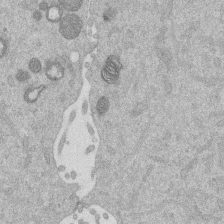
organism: Mouse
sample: Dividing mouse embryo 1 cell stage